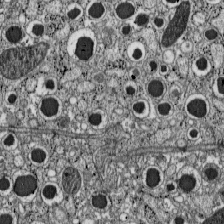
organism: C57BL Mouse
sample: Pancreatic islet